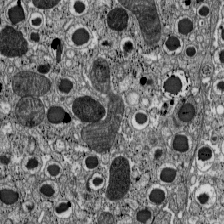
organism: C57BL Mouse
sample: Pancreatic islet